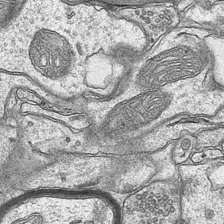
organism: Mouse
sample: CA1 Hippocampus